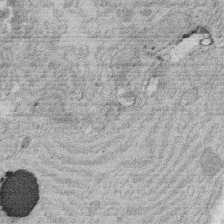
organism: Rat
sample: Salivary granule